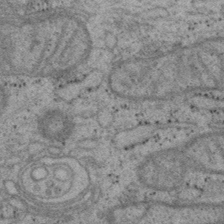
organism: Human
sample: HeLa cells